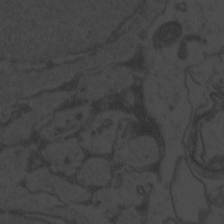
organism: Zebrafish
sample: Macrophage infected with Toxoplasma gondii